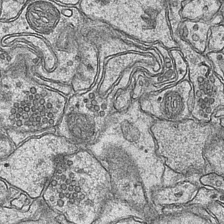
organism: Mouse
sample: CA1 Hippocampus